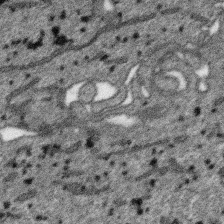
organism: Human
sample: Lung epithelial cells infected with SARS-CoV-2